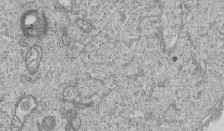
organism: Human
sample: MDA-MB-231 cells